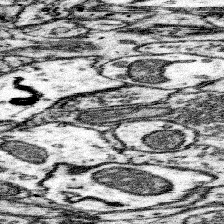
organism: Mouse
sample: Somatosensory cortex neuropil